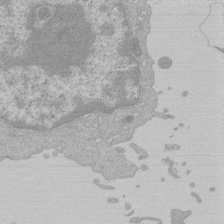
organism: Mouse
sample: Activated Pmel transgenic CD8+ T Cells